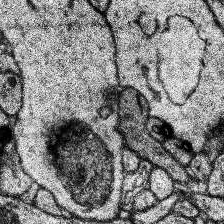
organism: Human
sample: Temporal Lobe